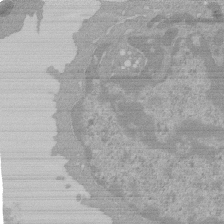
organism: Mouse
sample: Activated Pmel transgenic CD8+ T Cells